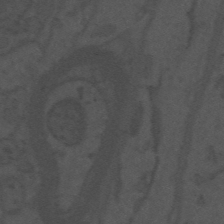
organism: Mouse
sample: Suprachiasmatic nucleus